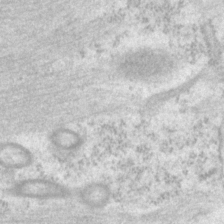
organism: P. pacificus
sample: Pharynx